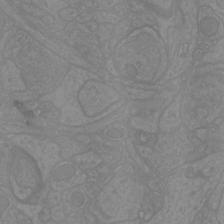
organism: Mouse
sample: Cortical neurons